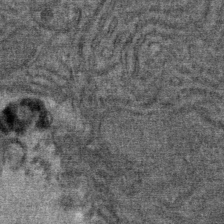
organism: Mouse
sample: Mouse Salivary gland